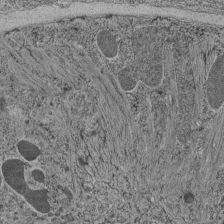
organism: C. elegans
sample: C. elegans pharynx